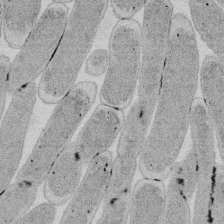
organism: E. coli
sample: Bacterial nucleoid